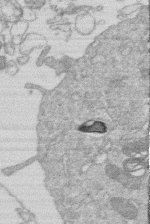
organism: Human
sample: Macrophage cells